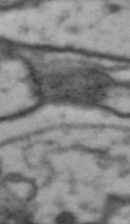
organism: Drosophila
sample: Brain